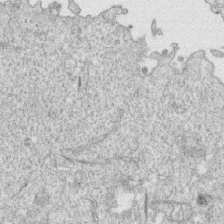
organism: Human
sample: HeLa cell HIV synapse